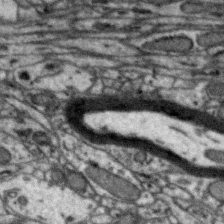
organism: Zebra finch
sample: Brain